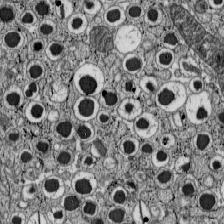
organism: C57BL Mouse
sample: Pancreatic islet